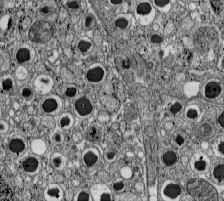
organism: C57BL Mouse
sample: Pancreatic islet